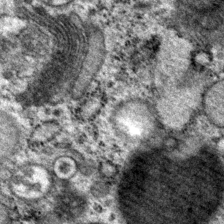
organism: P. pacificus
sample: Pharynx